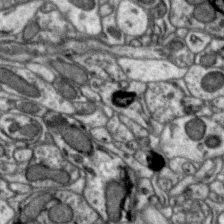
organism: Zebra finch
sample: Brain